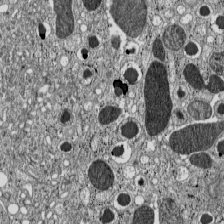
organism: C57BL Mouse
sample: Pancreatic islet